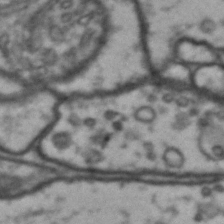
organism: Drosophila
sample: Brain